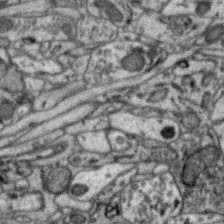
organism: Zebra finch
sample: Brain